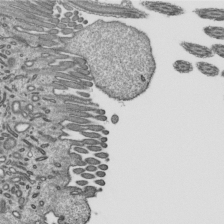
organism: Mouse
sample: Mouse epididymis efferent ductule cilia